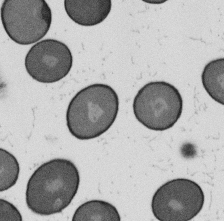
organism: B. subtilis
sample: Bacterial spore